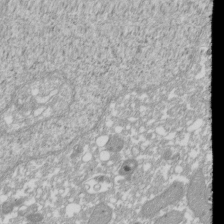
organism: Xenopus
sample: Cilia; centrioles in frog embryo cells